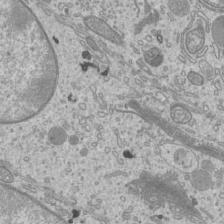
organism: Mouse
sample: Cilia; mouse epididymis